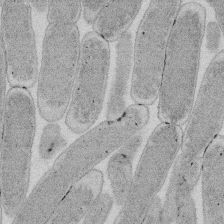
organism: E. coli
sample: Bacterial nucleoid